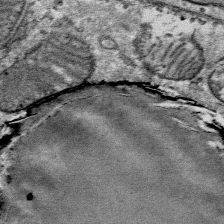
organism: Mouse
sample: Mouse Salivary gland